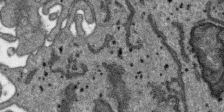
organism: Human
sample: Lung epithelial cells, uninfected (mock) control